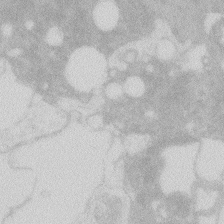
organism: Zebrafish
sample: Macrophage